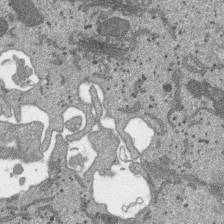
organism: Human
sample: Lung epithelial cells infected with SARS-CoV-2